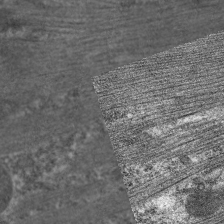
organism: C. elegans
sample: Pharynx